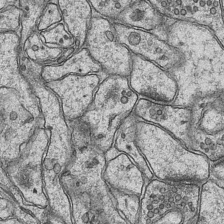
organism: Mouse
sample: CA1 Hippocampus